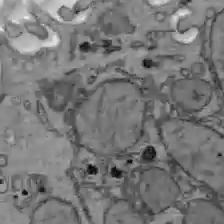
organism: C57BL Mouse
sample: Liver